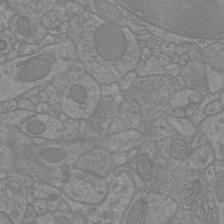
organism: Mouse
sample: Cortical neurons